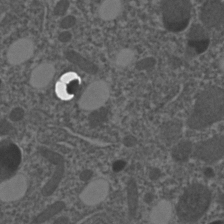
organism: C. elegans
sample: C. elegans embryo